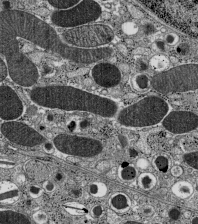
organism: C57BL Mouse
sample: Pancreatic islet